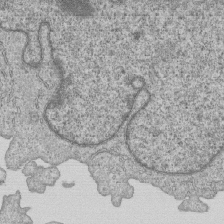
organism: Human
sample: MDA-MB-231 cells